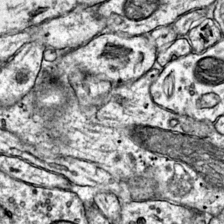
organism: Mouse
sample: Primary visual cortex